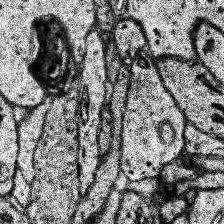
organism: Human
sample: Temporal Lobe